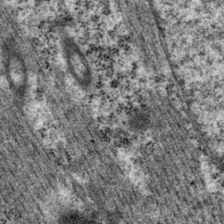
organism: P. pacificus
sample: Pharynx